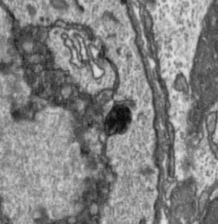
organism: Toxoplasma gondii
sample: Parasites in a vacuole inside a host cell